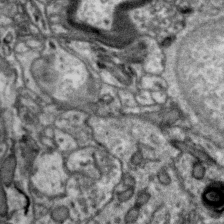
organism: Zebra finch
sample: Brain